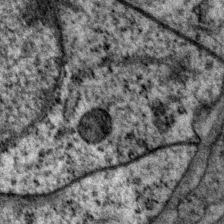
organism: P. pacificus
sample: Pharynx